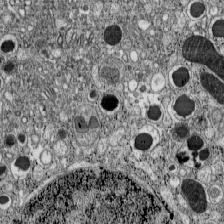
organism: C57BL Mouse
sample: Pancreatic islet